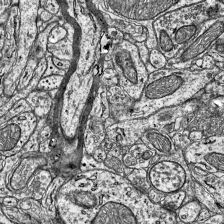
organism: Mouse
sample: Visual Cortex